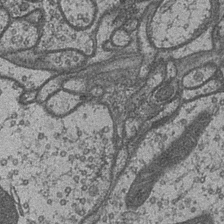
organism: Drosophila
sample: Optic medulla